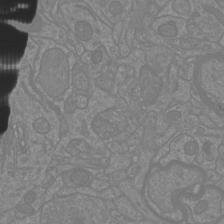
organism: Mouse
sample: Cortical neurons